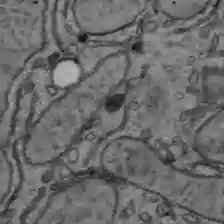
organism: C57BL Mouse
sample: Liver